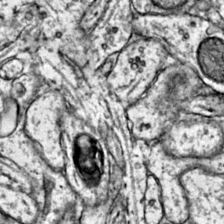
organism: Mouse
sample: Primary visual cortex